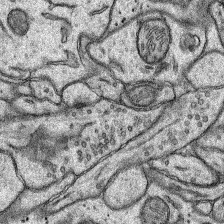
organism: Rat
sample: Hippocampus